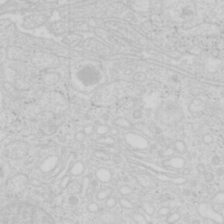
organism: Mouse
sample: Pancreas